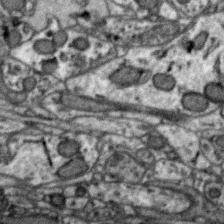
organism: Zebra finch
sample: Brain